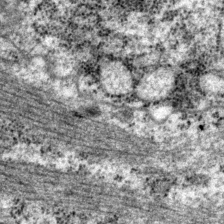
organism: P. pacificus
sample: Pharynx